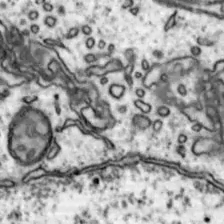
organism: Mouse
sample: Nucleus accumbens